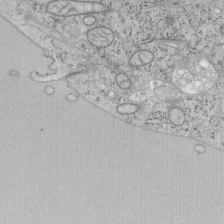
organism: Mouse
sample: OT-I killer T cells with ID8 ovarian cancer cells